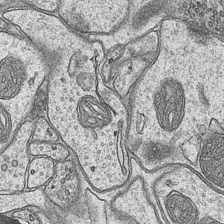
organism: Mouse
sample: CA1 Hippocampus